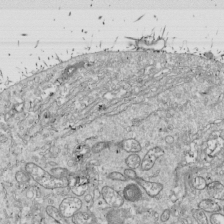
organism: Drosophila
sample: Cell division; meiosis; drosophila spermatocytes